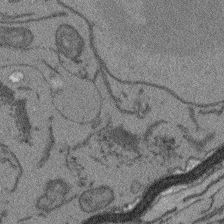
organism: Arabidopsis thaliana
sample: Root tip